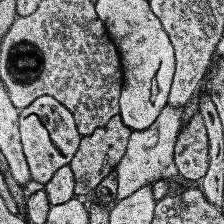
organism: Human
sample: Temporal Lobe